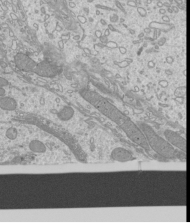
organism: Mouse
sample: Cilia; mouse epididymis